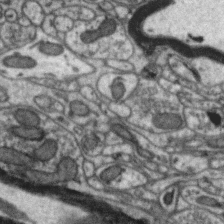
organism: Zebra finch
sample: Brain